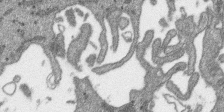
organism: Human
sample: Lung epithelial cells infected with SARS-CoV-2